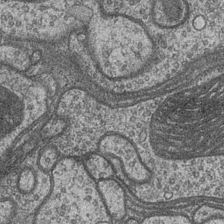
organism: Drosophila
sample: Optic medulla